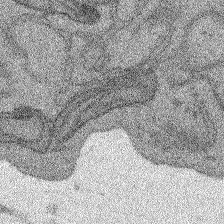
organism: Human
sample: HeLa cells